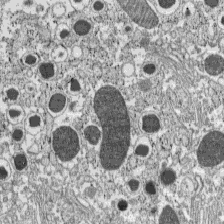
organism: C57BL Mouse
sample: Pancreatic islet